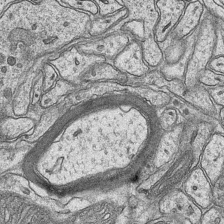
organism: Mouse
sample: CA1 Hippocampus